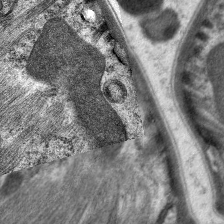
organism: C. elegans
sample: Pharynx